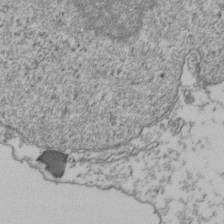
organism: Human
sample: Activated Jurkat CD4+ T cells